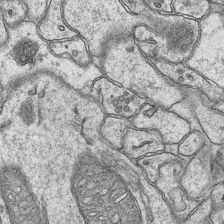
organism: Mouse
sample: CA1 Hippocampus